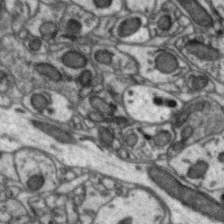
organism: Zebra finch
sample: Brain